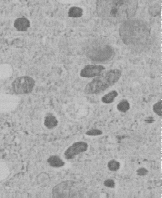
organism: C. elegans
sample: C. elegans embryo early stage